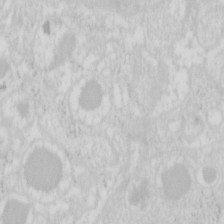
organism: Mouse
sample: Pancreas